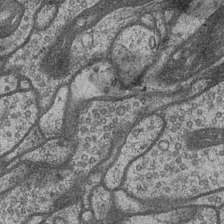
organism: Drosophila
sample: Optic medulla